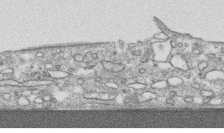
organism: Human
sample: CRL-1474